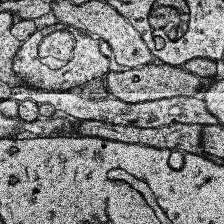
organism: Human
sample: Temporal Lobe